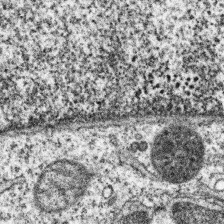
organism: Human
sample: HeLa cells